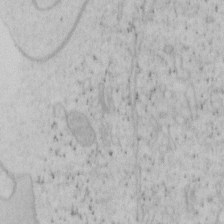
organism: Human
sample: HeLa cells